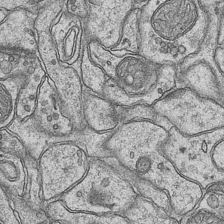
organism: Mouse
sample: CA1 Hippocampus